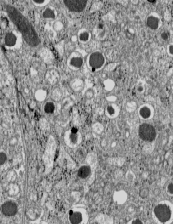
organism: C57BL Mouse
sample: Pancreatic islet